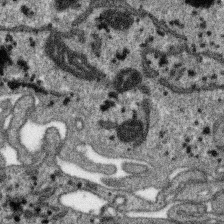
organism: Human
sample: Lung epithelial cells infected with SARS-CoV-2